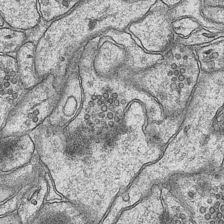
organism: Mouse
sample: CA1 Hippocampus